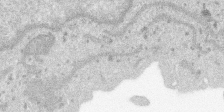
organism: Human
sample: Lung epithelial cells infected with SARS-CoV-2